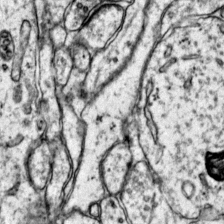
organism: Mouse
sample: Primary visual cortex